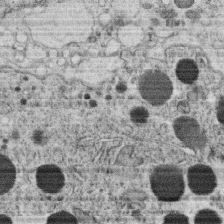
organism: C. elegans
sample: C. elegans oocyte; sperm cells